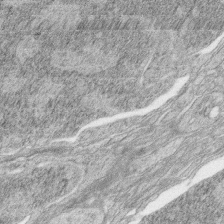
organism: Zebrafish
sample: synaptic ribbons in rod cells and cone cells